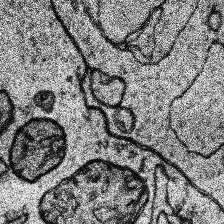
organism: Human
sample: Temporal Lobe